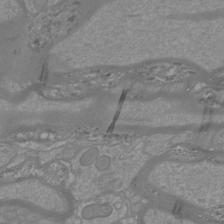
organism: Mouse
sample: Cortical neurons